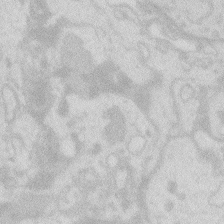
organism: Zebrafish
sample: Macrophage